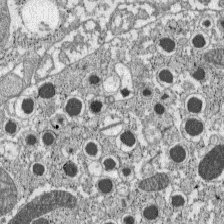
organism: C57BL Mouse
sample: Pancreatic islet